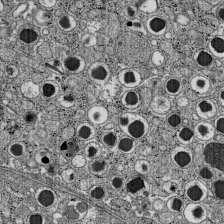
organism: C57BL Mouse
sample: Pancreatic islet